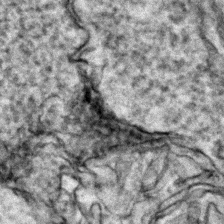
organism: Zebrafish